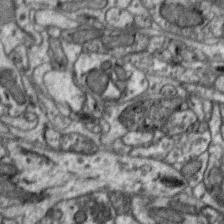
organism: Zebra finch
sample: Brain